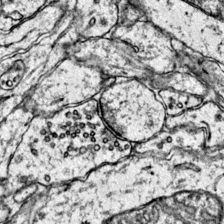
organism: Mouse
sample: Primary visual cortex